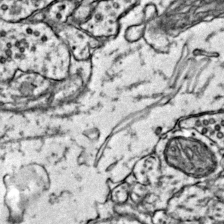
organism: Mouse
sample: Primary visual cortex